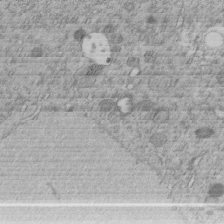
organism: C. elegans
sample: C. elegans embryo early stage